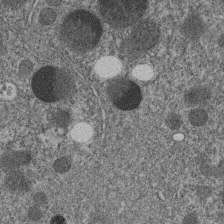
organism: C. elegans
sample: C. elegans embryo early stage